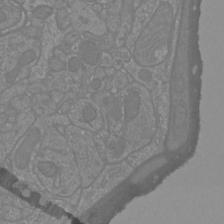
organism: Mouse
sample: Cortical neurons